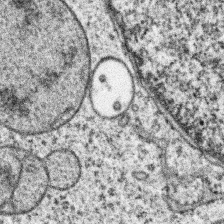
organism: Human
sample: HeLa cells